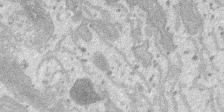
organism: Human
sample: Lung epithelial cells infected with SARS-CoV-2